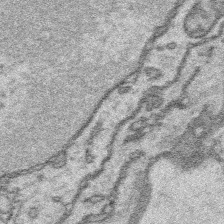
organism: Platynereis dumerilii